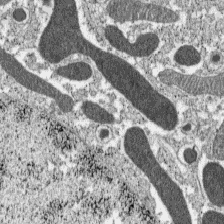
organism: C57BL Mouse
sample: Pancreatic islet